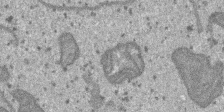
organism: Human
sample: Lung epithelial cells infected with SARS-CoV-2